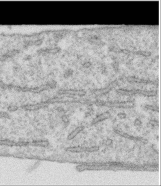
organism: Human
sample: Centriole in RPE cells